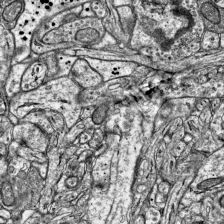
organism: Mouse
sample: Visual Cortex